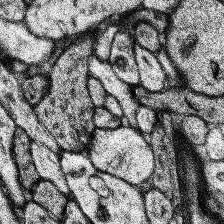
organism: Human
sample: Temporal Lobe